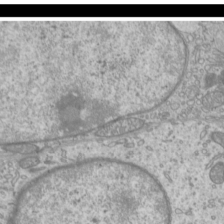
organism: Mouse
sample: Cilia; mouse epididymis